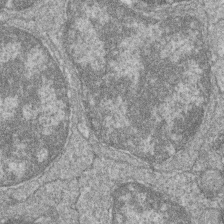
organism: Zebrafish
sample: Cilia; retinal pigment epithelium